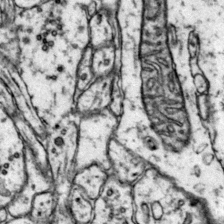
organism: Mouse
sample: Primary visual cortex